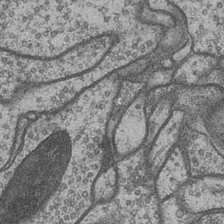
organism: Drosophila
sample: Optic medulla